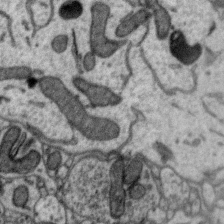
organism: Zebra finch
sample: Brain